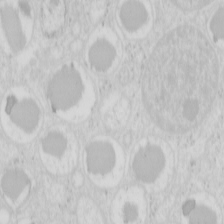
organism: Mouse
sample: Pancreas